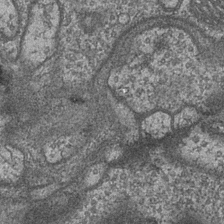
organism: Drosophila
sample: Optic medulla